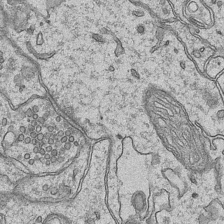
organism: Mouse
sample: CA1 Hippocampus